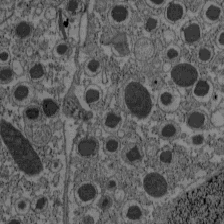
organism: C57BL Mouse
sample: Pancreatic islet